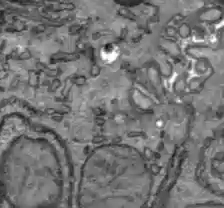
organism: C57BL Mouse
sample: Liver